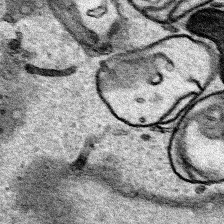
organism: Human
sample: Mitochondria in HCT116 cells